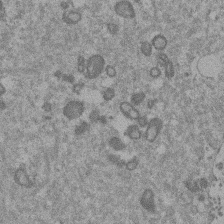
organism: Mouse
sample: Dividing mouse embryo 1 cell stage